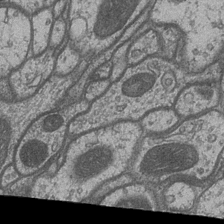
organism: Drosophila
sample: Optic medulla